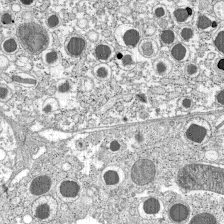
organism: C57BL Mouse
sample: Pancreatic islet